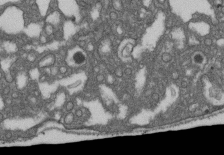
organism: Drosophila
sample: Nephrocyte